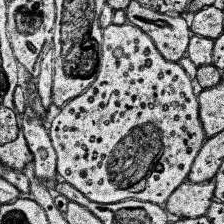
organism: Human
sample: Temporal Lobe